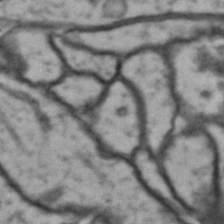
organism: Drosophila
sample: Brain